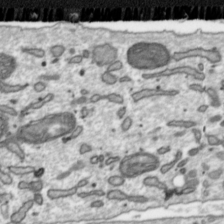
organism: Toxoplasma gondii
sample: Parasites in a vacuole inside a host cell